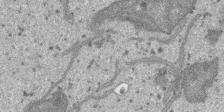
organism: Human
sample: Lung epithelial cells infected with SARS-CoV-2